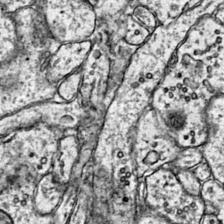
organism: Mouse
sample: Primary visual cortex